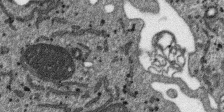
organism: Human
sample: Lung epithelial cells infected with SARS-CoV-2